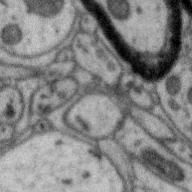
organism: Zebra finch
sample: Brain